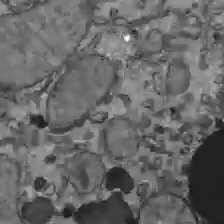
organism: C57BL Mouse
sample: Liver